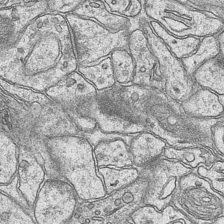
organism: Mouse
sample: CA1 Hippocampus